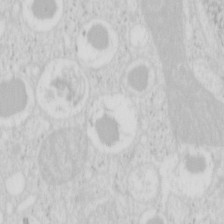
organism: Mouse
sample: Pancreas